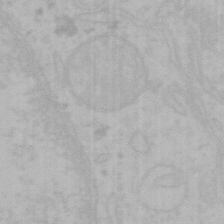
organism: Mouse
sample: Choroid plexus